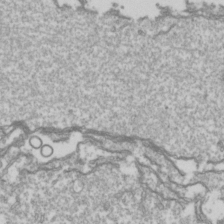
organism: Drosophila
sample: Cell division; meiosis; drosophila spermatocytes